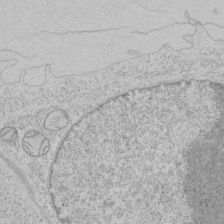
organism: Human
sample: Mitochondria in HCT116 cells